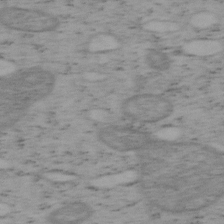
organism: Mouse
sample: OT-I killer T cells with ID8 ovarian cancer cells